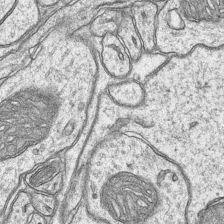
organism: Mouse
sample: CA1 Hippocampus